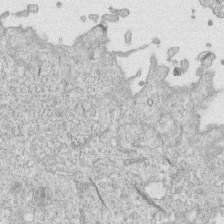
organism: Human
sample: HeLa cell HIV synapse